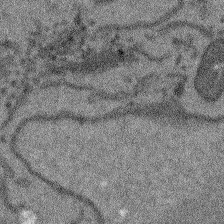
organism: Arabidopsis thaliana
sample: Root tip